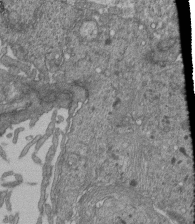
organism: Human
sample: Retinal organoid Rod and Cone cells